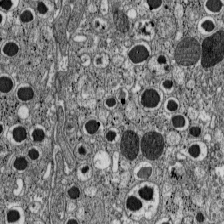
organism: C57BL Mouse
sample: Pancreatic islet